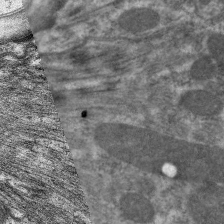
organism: C. elegans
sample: Pharynx